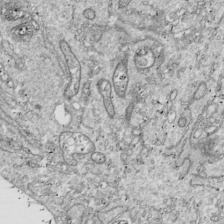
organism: Drosophila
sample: Cell division; meiosis; drosophila spermatocytes